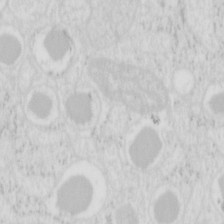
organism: Mouse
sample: Pancreas